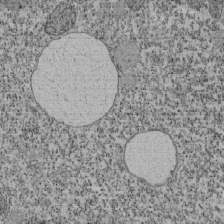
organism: Tetrahymena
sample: Cilia in tetrahymena